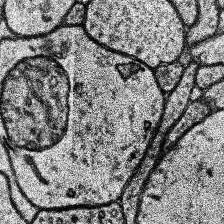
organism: Human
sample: Temporal Lobe